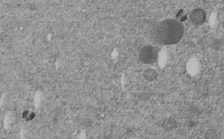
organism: C. elegans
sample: C. elegans embryo early stage